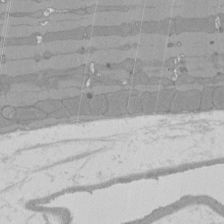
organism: Rat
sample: Left ventricle